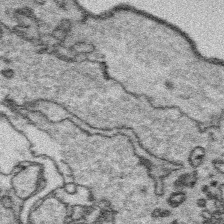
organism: Platynereis dumerilii